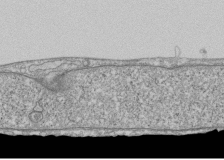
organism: Human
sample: Fibroblast cells